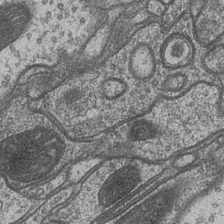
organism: Drosophila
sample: Optic medulla